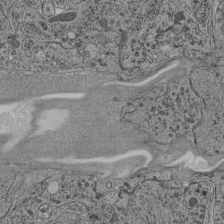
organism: C. elegans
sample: C. elegans pharynx